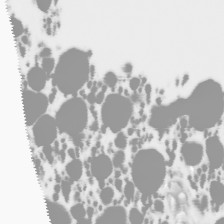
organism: Human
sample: THP-1 cells